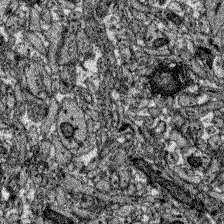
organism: Zebrafish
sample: Larval olfactory bulb